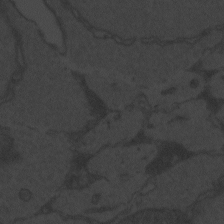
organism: Zebrafish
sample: Macrophage infected with Toxoplasma gondii